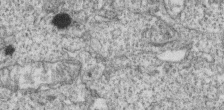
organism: Human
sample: HeLa cell HIV synapse